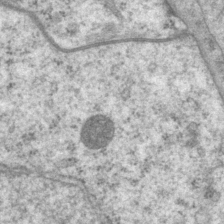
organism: P. pacificus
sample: Pharynx